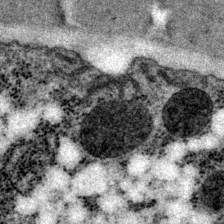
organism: P. pacificus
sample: Pharynx